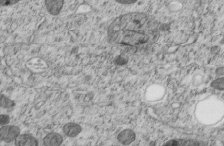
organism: C. elegans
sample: C. elegans embryo early stage